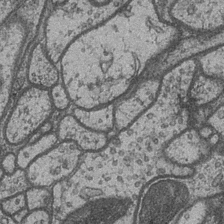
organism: Drosophila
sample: Optic medulla